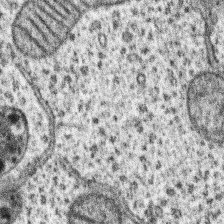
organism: Human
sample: HeLa cells